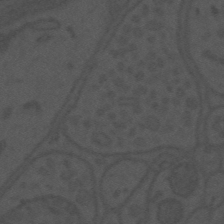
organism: Mouse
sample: Suprachiasmatic nucleus